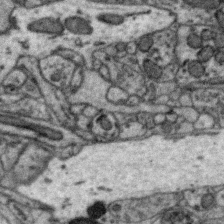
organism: Zebra finch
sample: Brain